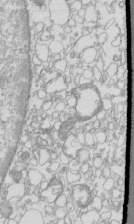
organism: Mouse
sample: Macrophages